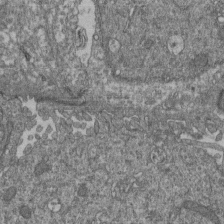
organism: Human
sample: Retinal organoid Rod and Cone cells